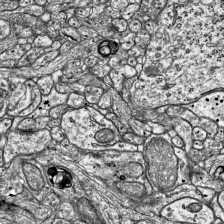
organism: Mouse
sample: Visual Cortex